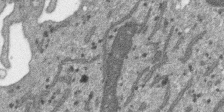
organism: Human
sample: Lung epithelial cells infected with SARS-CoV-2